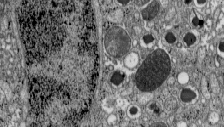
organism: C57BL Mouse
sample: Pancreatic islet